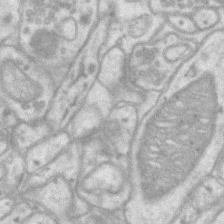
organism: Mouse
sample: CA1 Hippocampus